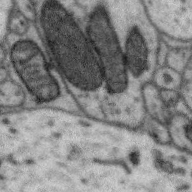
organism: Zebra finch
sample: Brain